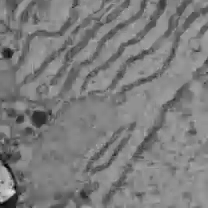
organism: C57BL Mouse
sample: Liver